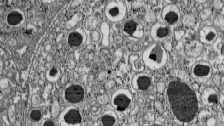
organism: C57BL Mouse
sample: Pancreatic islet